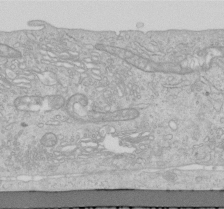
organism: Human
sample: Centriole in RPE cells